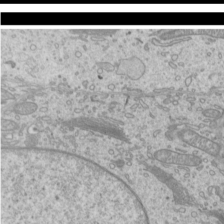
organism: Mouse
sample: Cilia; mouse epididymis